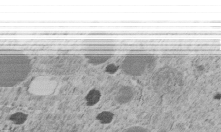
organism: C. elegans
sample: C. elegans embryo early stage